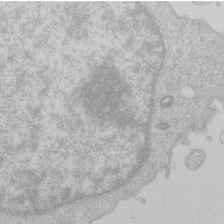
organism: Human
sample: Macrophage cells